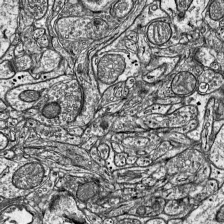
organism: Mouse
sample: Visual Cortex